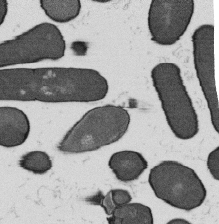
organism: B. subtilis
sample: Bacterial spore